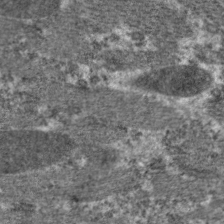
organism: C. elegans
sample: Pharynx